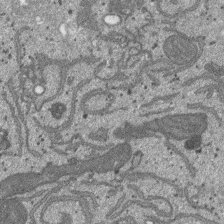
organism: Human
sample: Lung epithelial cells infected with SARS-CoV-2